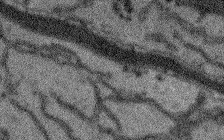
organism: Arabidopsis thaliana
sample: Root tip